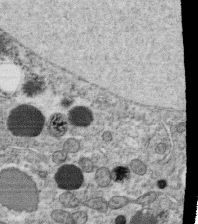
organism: C. elegans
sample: C. elegans oocyte; sperm cells